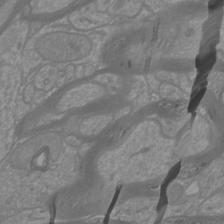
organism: Mouse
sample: Cortical neurons